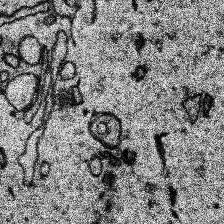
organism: Human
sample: Temporal Lobe